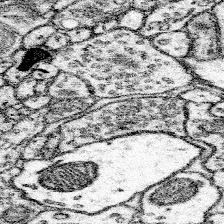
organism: Mouse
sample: Somatosensory cortex neuropil